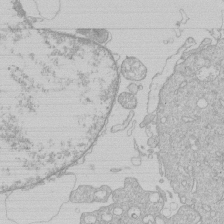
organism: Human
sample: Macrophage cells